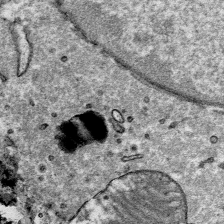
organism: Mouse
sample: Mouse Salivary gland